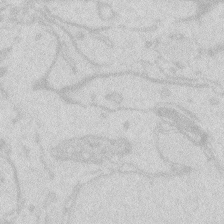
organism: Zebrafish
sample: Macrophage